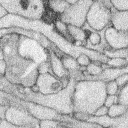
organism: Rabbit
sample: Retina